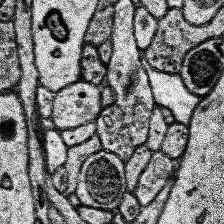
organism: Human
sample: Temporal Lobe